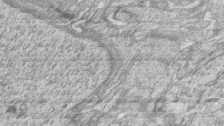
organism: Zebrafish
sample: synaptic ribbons in rod cells and cone cells